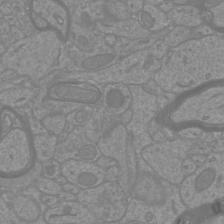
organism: Mouse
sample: Cortical neurons